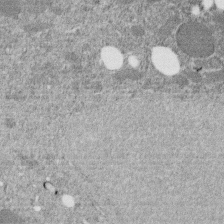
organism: C. elegans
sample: C. elegans embryo early stage